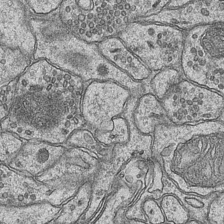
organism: Mouse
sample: CA1 Hippocampus